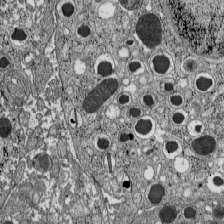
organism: C57BL Mouse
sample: Pancreatic islet